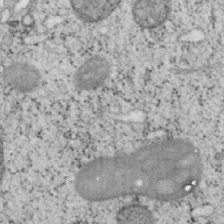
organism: Mouse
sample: OT-I killer T cells with ID8 ovarian cancer cells